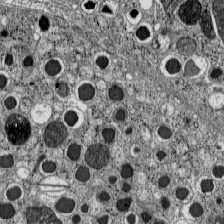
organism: C57BL Mouse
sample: Pancreatic islet